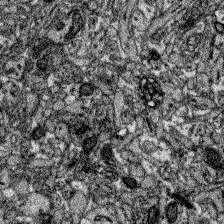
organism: Zebrafish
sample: Larval olfactory bulb